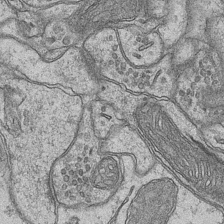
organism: Mouse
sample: CA1 Hippocampus